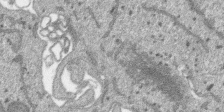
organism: Human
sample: Lung epithelial cells infected with SARS-CoV-2